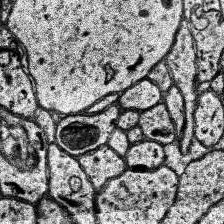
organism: Human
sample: Temporal Lobe